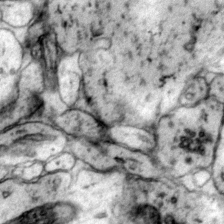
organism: Mouse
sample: Primary visual cortex